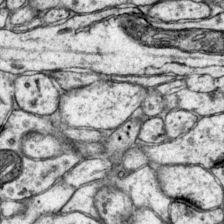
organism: Mouse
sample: Primary visual cortex